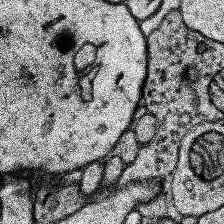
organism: Human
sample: Temporal Lobe